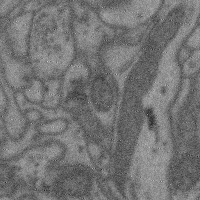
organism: Mouse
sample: Cerebral cortex